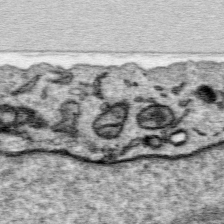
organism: Human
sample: HeLa cells